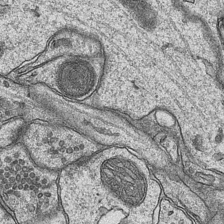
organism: Mouse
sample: CA1 Hippocampus